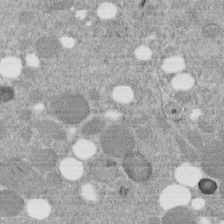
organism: C. elegans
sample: C. elegans embryo early stage